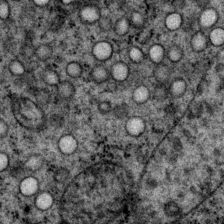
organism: P. pacificus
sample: Pharynx